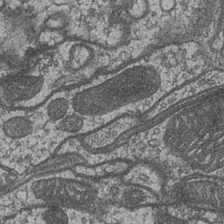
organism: Drosophila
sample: Optic medulla